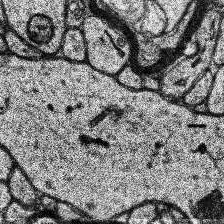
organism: Human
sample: Temporal Lobe